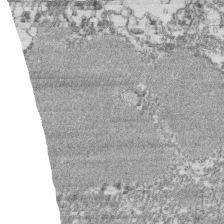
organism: Human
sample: HeLa cell HIV synapse